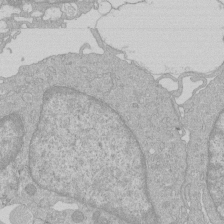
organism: Human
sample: Macrophage cells